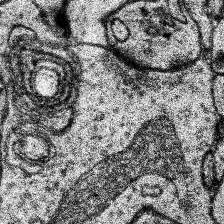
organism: Human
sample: Temporal Lobe